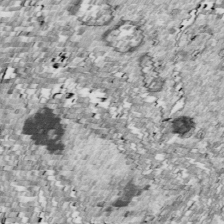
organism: Drosophila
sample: Cell division; meiosis; drosophila spermatocytes